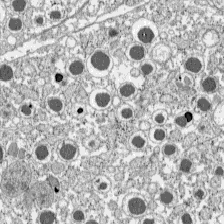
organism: C57BL Mouse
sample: Pancreatic islet